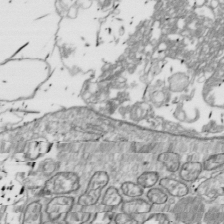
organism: Drosophila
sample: Cell division; meiosis; drosophila spermatocytes